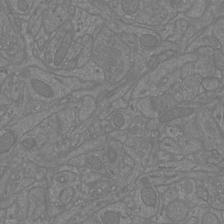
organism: Mouse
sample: Cortical neurons